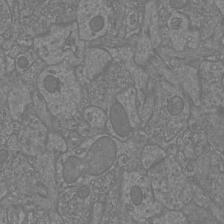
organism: Mouse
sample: Cortical neurons